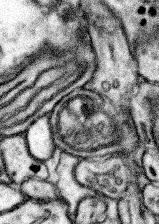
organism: Mouse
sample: Somatosensory cortex neuropil